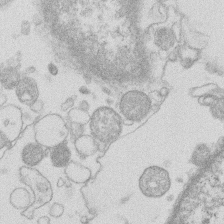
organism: Human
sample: Macrophage cells